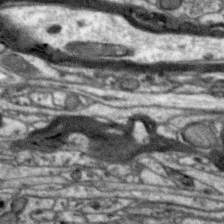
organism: Zebra finch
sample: Brain